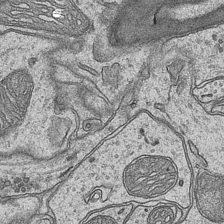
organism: Mouse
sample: CA1 Hippocampus